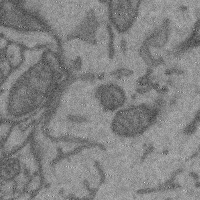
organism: Mouse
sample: Cerebral cortex